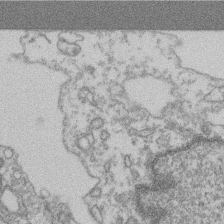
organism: Mouse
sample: T cell stromal cell synapse